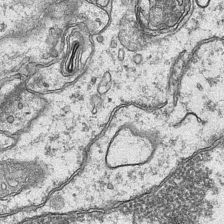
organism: Mouse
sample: CA1 Hippocampus